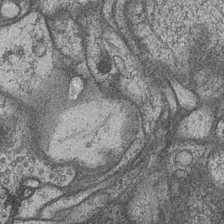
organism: Drosophila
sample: Optic medulla